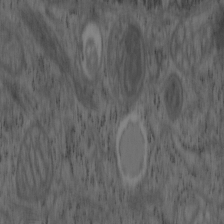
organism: Human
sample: HeLa cells